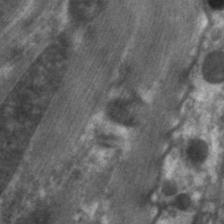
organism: C. elegans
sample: Pharynx